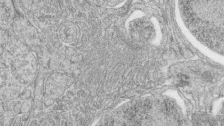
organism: Zebrafish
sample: synaptic ribbons in rod cells and cone cells